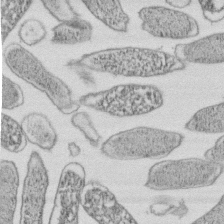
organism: E. coli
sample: Bacterial nucleoid